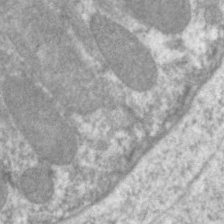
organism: C. elegans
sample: Pharynx